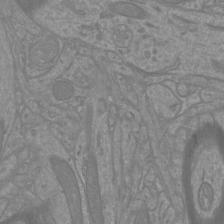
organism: Mouse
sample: Cortical neurons